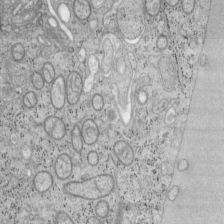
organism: Mouse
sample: OT-I killer T cells with ID8 ovarian cancer cells